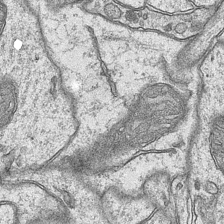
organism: Mouse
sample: CA1 Hippocampus